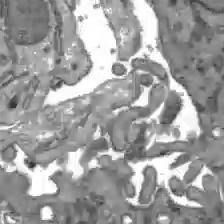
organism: C57BL Mouse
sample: Liver